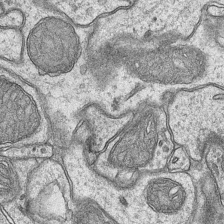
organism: Mouse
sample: CA1 Hippocampus